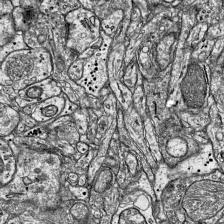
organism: Mouse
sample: Visual Cortex